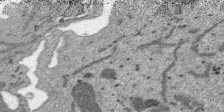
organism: Human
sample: Lung epithelial cells infected with SARS-CoV-2